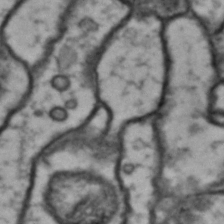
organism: Drosophila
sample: Brain